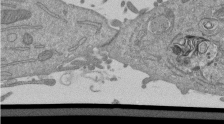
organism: Mouse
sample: ED-1 cell nuclei; centrioles